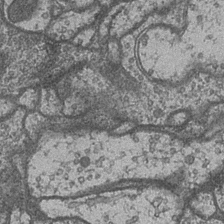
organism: Drosophila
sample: Optic medulla